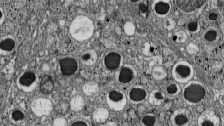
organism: C57BL Mouse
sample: Pancreatic islet